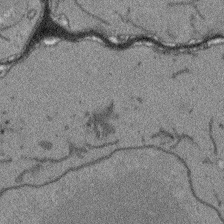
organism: Arabidopsis thaliana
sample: Root tip